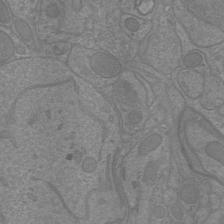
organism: Mouse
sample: Cortical neurons